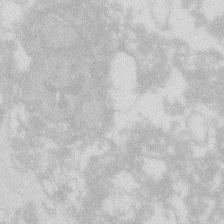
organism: Zebrafish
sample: Macrophage